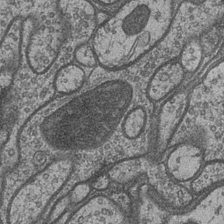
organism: Drosophila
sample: Optic medulla